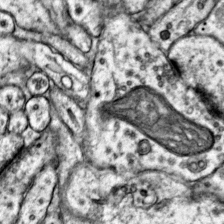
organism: Mouse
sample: Primary visual cortex